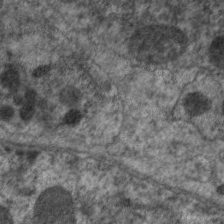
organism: C. elegans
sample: Pharynx